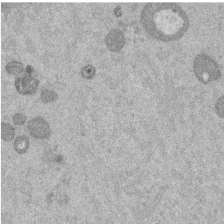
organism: Mouse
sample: Dividing mouse embryo 1 cell stage